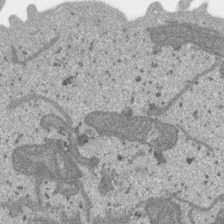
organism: Human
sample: Lung epithelial cells infected with SARS-CoV-2